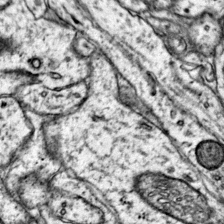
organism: Mouse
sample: Primary visual cortex